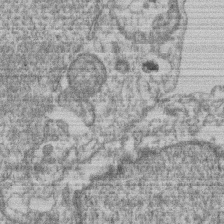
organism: Mouse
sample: T cell stromal cell synapse